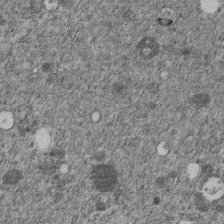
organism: C. elegans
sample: C. elegans embryo early stage